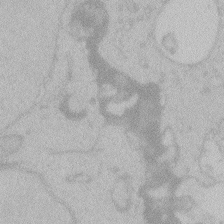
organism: Zebrafish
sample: Macrophage infected with Toxoplasma gondii